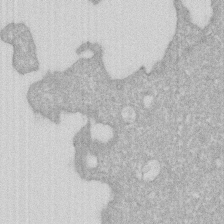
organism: Human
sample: HIV infected U937 cells